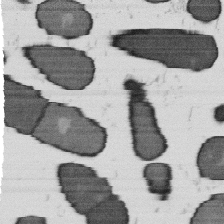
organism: B. subtilis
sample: Bacterial spore